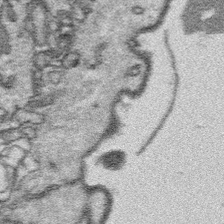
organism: Platynereis dumerilii